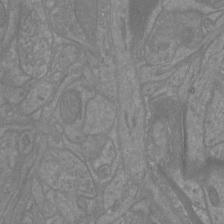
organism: Mouse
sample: Cortical neurons